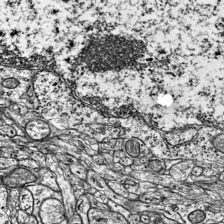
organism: Mouse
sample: Visual Cortex